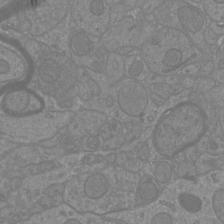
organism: Mouse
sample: Cortical neurons